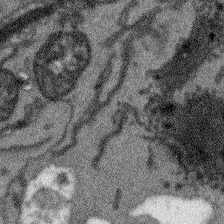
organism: Arabidopsis thaliana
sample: Root tip